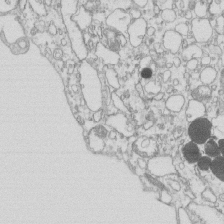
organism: Mouse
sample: Macrophages